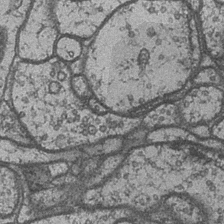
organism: Drosophila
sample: Optic medulla